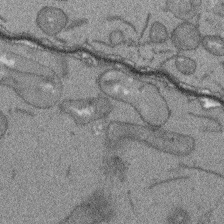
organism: Arabidopsis thaliana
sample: Root tip